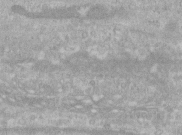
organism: Human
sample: Centriole in RPE cells